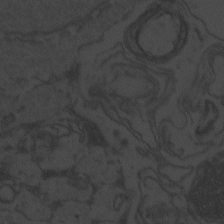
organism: Zebrafish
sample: Macrophage infected with Toxoplasma gondii